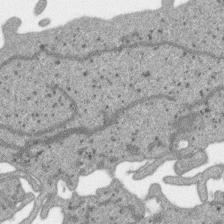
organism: Human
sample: Lung epithelial cells infected with SARS-CoV-2